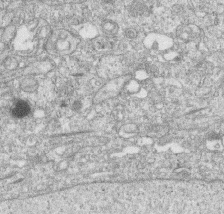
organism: Human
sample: HeLa cell HIV synapse